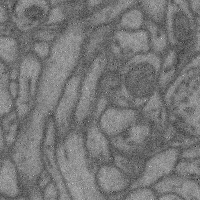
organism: Mouse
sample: Cerebral cortex